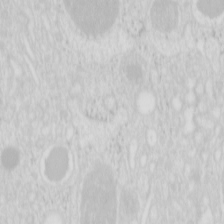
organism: Mouse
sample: Pancreas